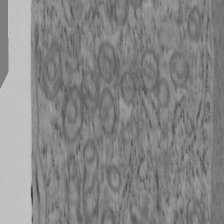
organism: Human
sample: HeLa cells